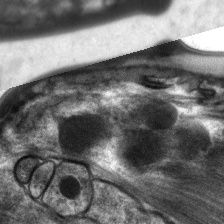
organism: C. elegans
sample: Pharynx